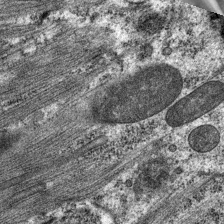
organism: C. elegans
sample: Pharynx